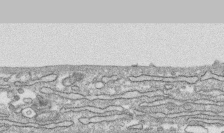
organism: Human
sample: CRL-1474